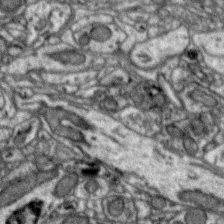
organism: Zebra finch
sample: Brain